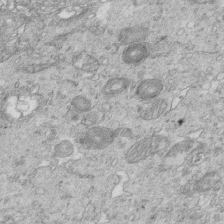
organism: Mouse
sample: Multiciliated cells